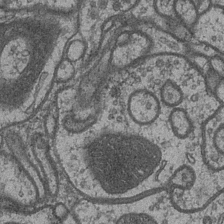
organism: Drosophila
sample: Optic medulla